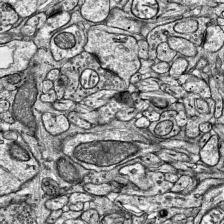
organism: Mouse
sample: Visual Cortex